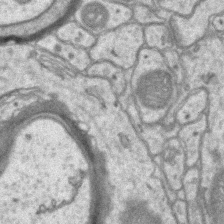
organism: Mouse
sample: CA1 Hippocampus